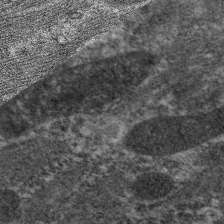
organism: C. elegans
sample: Pharynx